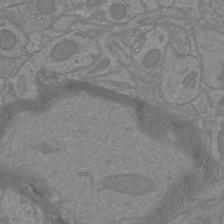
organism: Mouse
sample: Cortical neurons